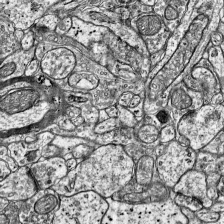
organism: Mouse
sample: Visual Cortex